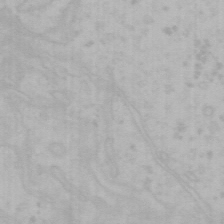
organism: Mouse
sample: Choroid plexus